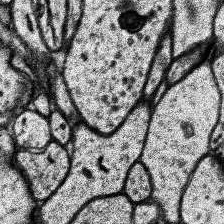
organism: Human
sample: Temporal Lobe